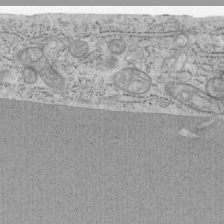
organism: Human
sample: HeLa cells